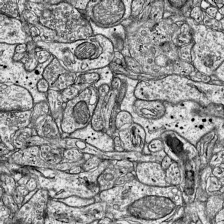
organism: Mouse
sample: Visual Cortex